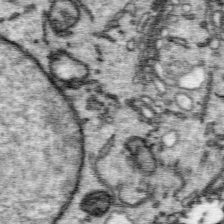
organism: Human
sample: HeLa cells